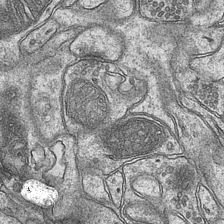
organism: Mouse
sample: CA1 Hippocampus